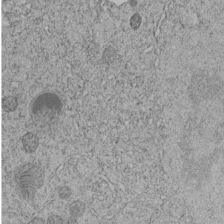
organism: C. elegans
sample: C. elegans embryo early stage